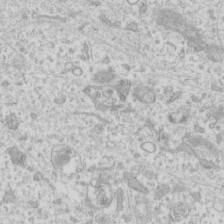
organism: Human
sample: Fibroblast cells